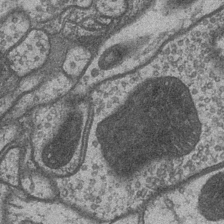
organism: Drosophila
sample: Optic medulla